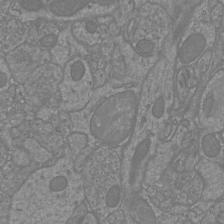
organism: Mouse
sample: Cortical neurons